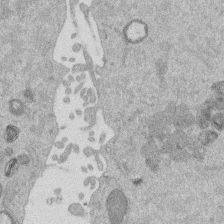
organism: Mouse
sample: Dividing mouse embryo 1 cell stage